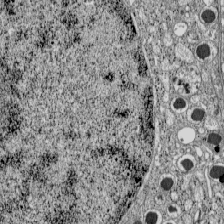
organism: C57BL Mouse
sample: Pancreatic islet